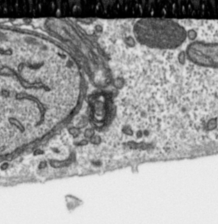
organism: Toxoplasma gondii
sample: Parasites in a vacuole inside a host cell